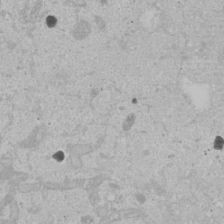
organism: Human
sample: Mitochondria in U2OS cells